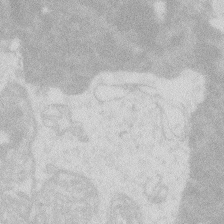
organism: Zebrafish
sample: Macrophage